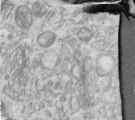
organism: Human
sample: Centriole in RPE cells